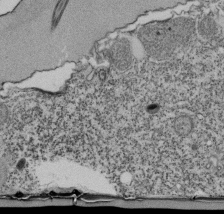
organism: Tetrahymena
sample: Cilia in tetrahymena